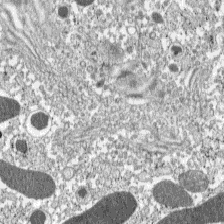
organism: C57BL Mouse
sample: Pancreatic islet